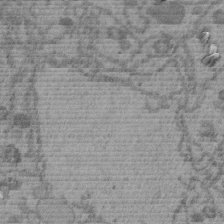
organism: C. elegans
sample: C. elegans embryo early stage